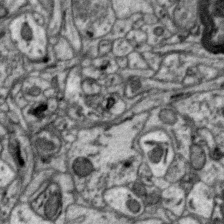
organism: Zebra finch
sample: Brain